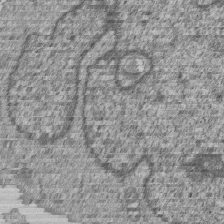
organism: Human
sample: MDA-MB-231 cells